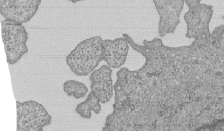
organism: Human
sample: MDA-MB-231 cells